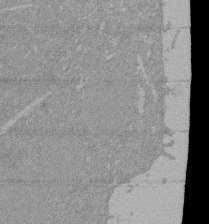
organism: Mouse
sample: ED-1 cell nuclei; centrioles